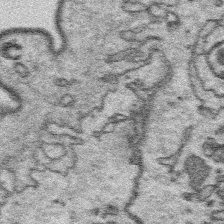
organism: Platynereis dumerilii